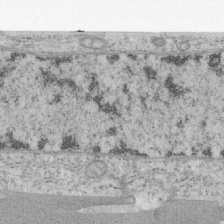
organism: Human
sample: HeLa cells